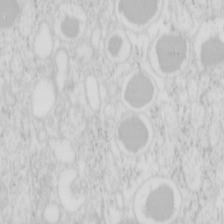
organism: Mouse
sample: Pancreas